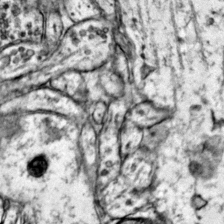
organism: Mouse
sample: Primary visual cortex